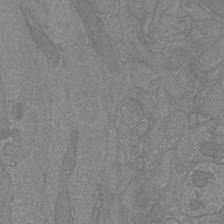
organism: Mouse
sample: Cortical neurons